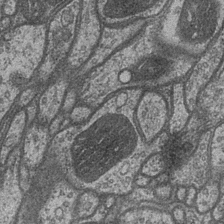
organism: Drosophila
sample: Optic medulla